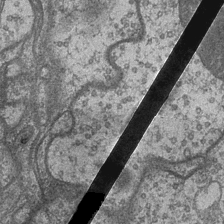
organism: Drosophila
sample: Optic medulla